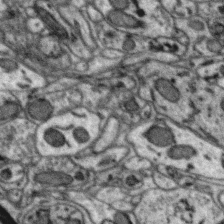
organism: Zebra finch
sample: Brain